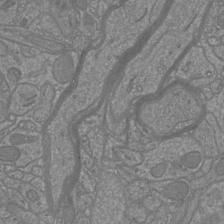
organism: Mouse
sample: Cortical neurons